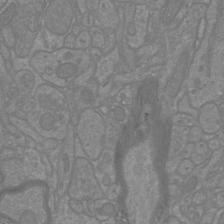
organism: Mouse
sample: Cortical neurons